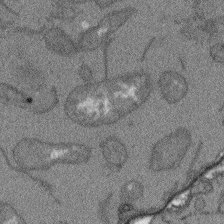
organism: Arabidopsis thaliana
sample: Root tip